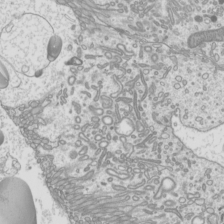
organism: Mouse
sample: Cilia; mouse epididymis